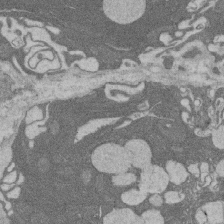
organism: Rat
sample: Salivary granule